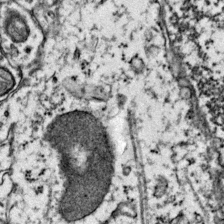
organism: Mouse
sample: Primary visual cortex